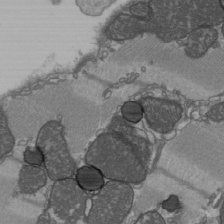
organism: C57BL Mouse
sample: Heart